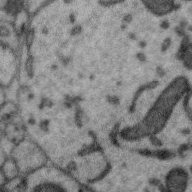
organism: Zebra finch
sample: Brain